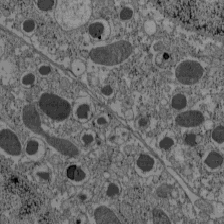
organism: C57BL Mouse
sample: Pancreatic islet